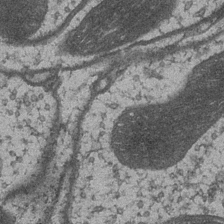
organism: Drosophila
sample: Optic medulla